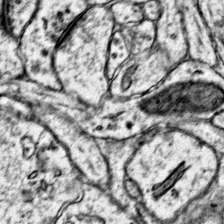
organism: Mouse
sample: Primary visual cortex